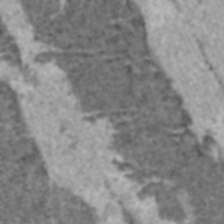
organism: C57BL Mouse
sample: Heart